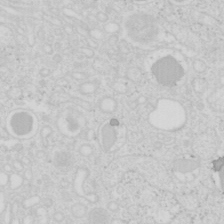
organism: Mouse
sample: Pancreas